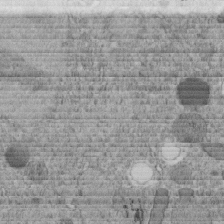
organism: C. elegans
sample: C. elegans embryo early stage